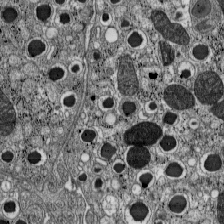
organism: C57BL Mouse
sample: Pancreatic islet